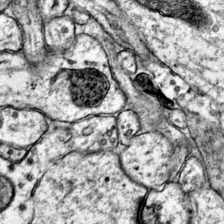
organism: Mouse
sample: Primary visual cortex